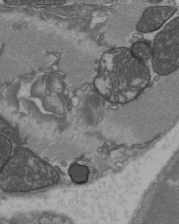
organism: C57BL Mouse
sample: Heart